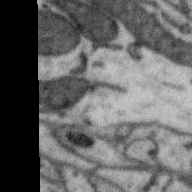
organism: Zebra finch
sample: Brain